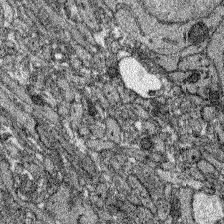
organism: Zebrafish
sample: Larval olfactory bulb